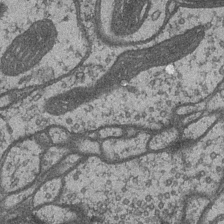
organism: Drosophila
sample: Optic medulla